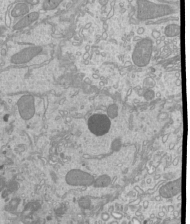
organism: Mouse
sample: Cilia; mouse epididymis